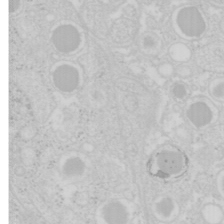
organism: Mouse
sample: Pancreas